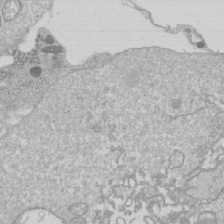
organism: Drosophila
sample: Cell division; meiosis; drosophila spermatocytes